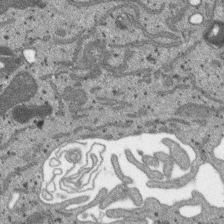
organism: Human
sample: Lung epithelial cells infected with SARS-CoV-2